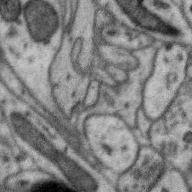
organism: Zebra finch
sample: Brain